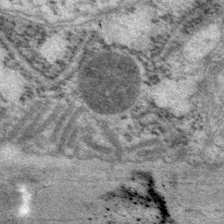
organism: P. pacificus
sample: Pharynx